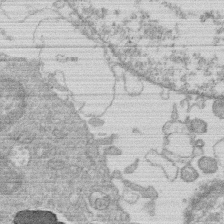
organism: Human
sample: Macrophage cells